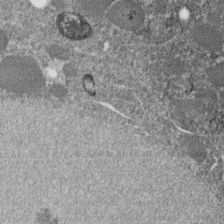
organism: C. elegans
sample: C. elegans embryo early stage